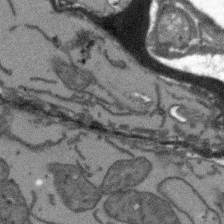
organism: Arabidopsis thaliana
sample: Root tip